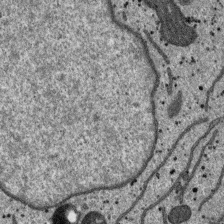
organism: Human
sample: Lung epithelial cells, uninfected (mock) control